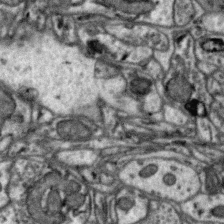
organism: Zebra finch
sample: Brain